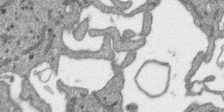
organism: Human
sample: Lung epithelial cells infected with SARS-CoV-2